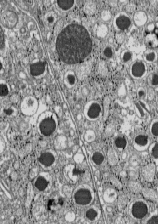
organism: C57BL Mouse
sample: Pancreatic islet